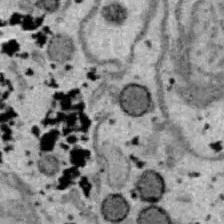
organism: Mouse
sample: Liver from an obese (ob/ob) mouse